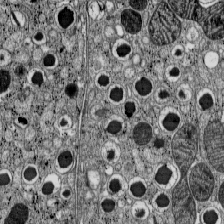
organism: C57BL Mouse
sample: Pancreatic islet